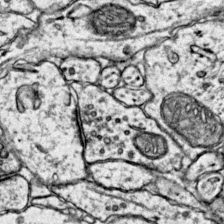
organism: Mouse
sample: Primary visual cortex